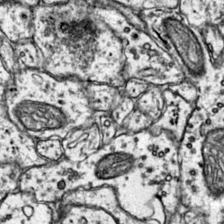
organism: Mouse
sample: Primary visual cortex